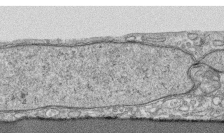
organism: Human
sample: CRL-1474